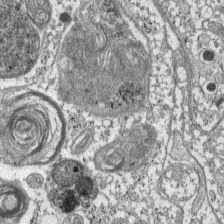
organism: C57BL Mouse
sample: Pancreatic islet